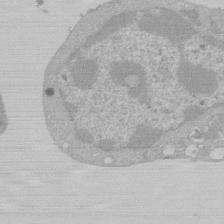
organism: Mouse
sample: Activated Pmel transgenic CD8+ T Cells